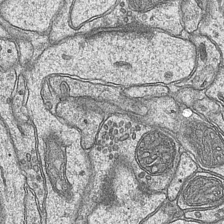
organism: Mouse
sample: CA1 Hippocampus